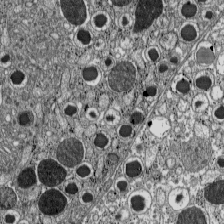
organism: C57BL Mouse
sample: Pancreatic islet